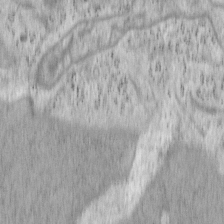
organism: Human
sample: HeLa cells